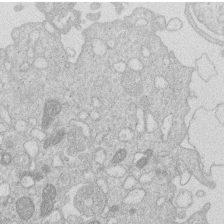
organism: Human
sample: Macrophage cells